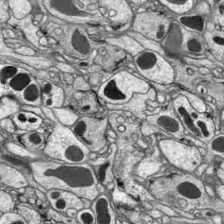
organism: Drosophila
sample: Optic lobe